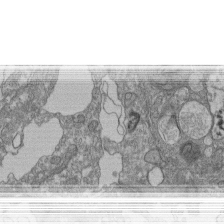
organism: Human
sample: Retinal organoid Rod and Cone cells